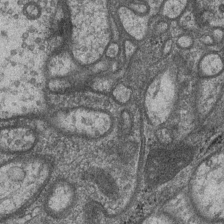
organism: Drosophila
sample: Optic medulla